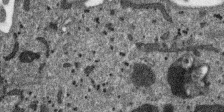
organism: Human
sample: Lung epithelial cells infected with SARS-CoV-2